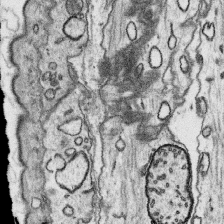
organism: Platynereis dumerilii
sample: Parapodia